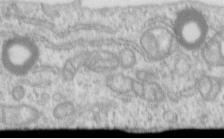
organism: Human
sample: Centriole in RPE cells